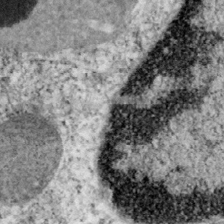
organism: Mouse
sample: OT-I killer T cells with ID8 ovarian cancer cells